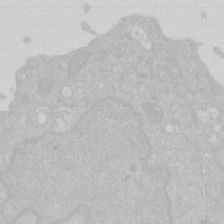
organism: Human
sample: HIV infected U937 cells